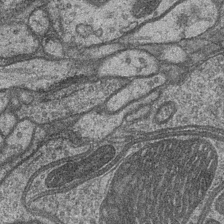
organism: Drosophila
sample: Optic medulla